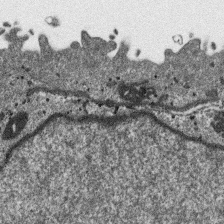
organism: Human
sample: Lung epithelial cells infected with SARS-CoV-2